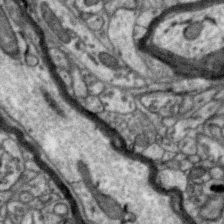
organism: Zebra finch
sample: Brain